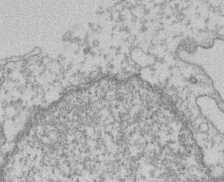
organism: Mouse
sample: T cell stromal cell synapse